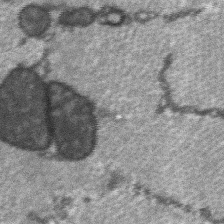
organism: C57BL Mouse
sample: Soleus